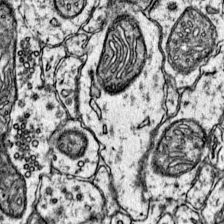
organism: Mouse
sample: Primary visual cortex